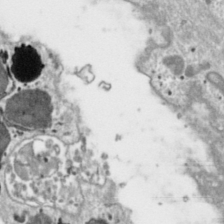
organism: Toxoplasma gondii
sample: Parasites in a vacuole inside a host cell